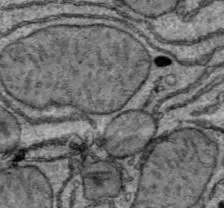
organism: C57BL Mouse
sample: Liver